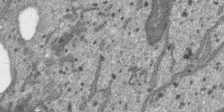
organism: Human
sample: Lung epithelial cells infected with SARS-CoV-2